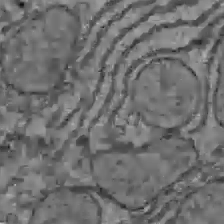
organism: C57BL Mouse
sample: Liver